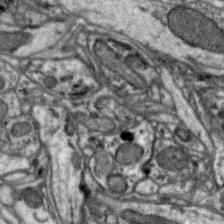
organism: Zebra finch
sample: Brain